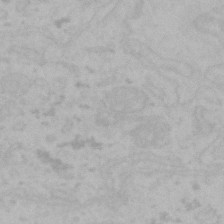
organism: Mouse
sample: Choroid plexus